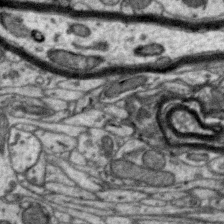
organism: Zebra finch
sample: Brain